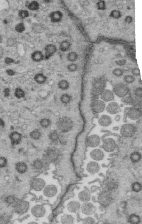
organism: Mouse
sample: Multiciliated cells